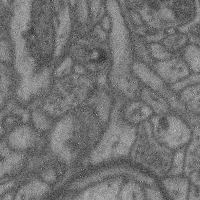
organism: Mouse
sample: Cerebral cortex